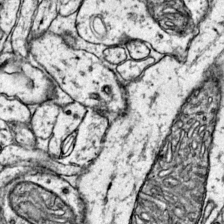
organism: Mouse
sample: Primary visual cortex